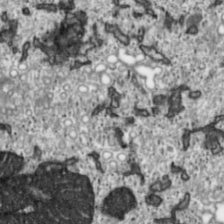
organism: Toxoplasma gondii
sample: Parasites in a vacuole inside a host cell